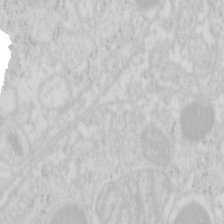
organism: Mouse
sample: Pancreas